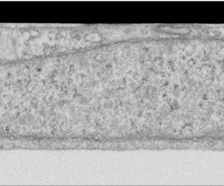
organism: Human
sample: Centriole in RPE cells